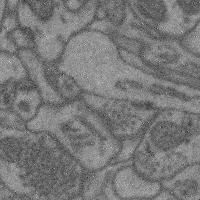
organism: Mouse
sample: Cerebral cortex